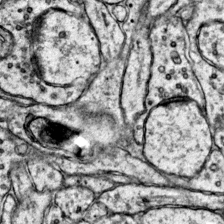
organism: Mouse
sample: Primary visual cortex